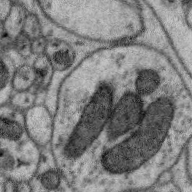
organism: Zebra finch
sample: Brain